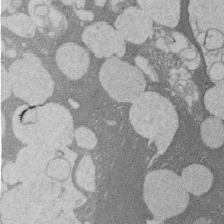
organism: Rat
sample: Salivary granule